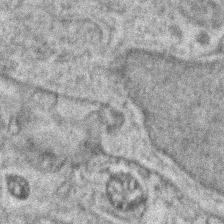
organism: Zebrafish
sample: Zebrafish embryo